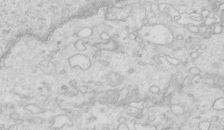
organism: Mouse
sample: Multiciliated cells